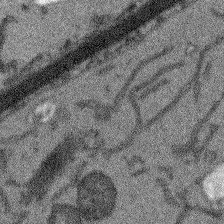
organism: Arabidopsis thaliana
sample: Root tip